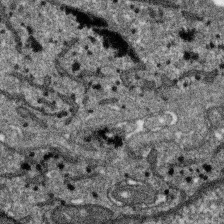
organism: Human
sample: Lung epithelial cells infected with SARS-CoV-2